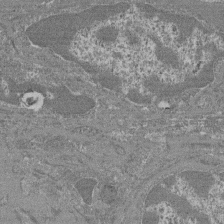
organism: Mouse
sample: Glomerulus